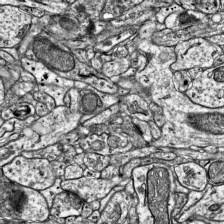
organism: Mouse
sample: Visual Cortex